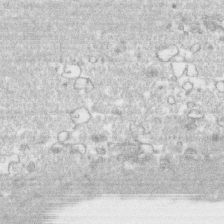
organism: Human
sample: CRL-1474